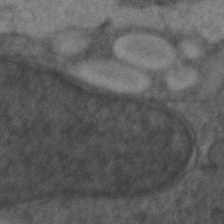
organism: Zebrafish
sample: Zebrafish embryo